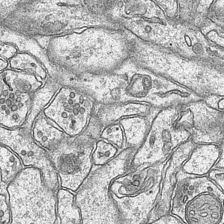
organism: Mouse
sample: CA1 Hippocampus